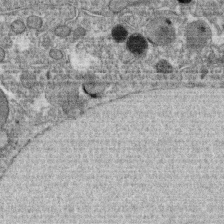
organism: C. elegans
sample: C. elegans oocyte; sperm cells